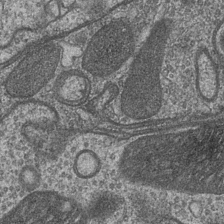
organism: Drosophila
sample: Optic medulla